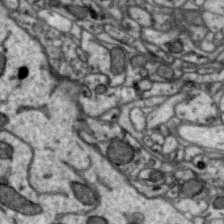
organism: Zebra finch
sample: Brain